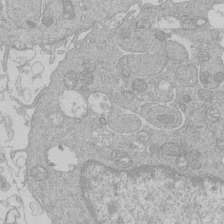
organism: Human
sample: Macrophage cells